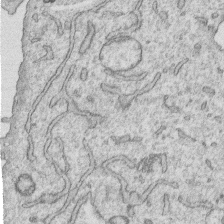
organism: Human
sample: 1205lu cells